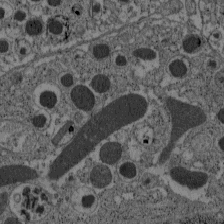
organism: C57BL Mouse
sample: Pancreatic islet